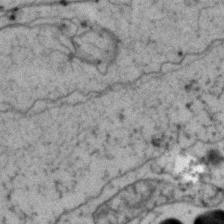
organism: Zebrafish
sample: Zebrafish embryo